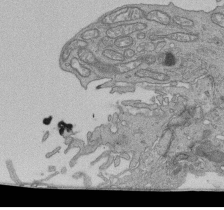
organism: Human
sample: Retinal organoid Rod and Cone cells